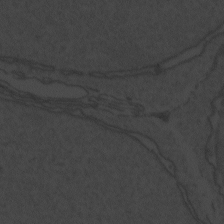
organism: Zebrafish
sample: Macrophage infected with Toxoplasma gondii